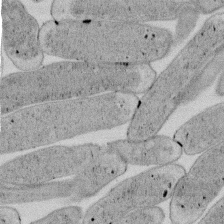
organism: E. coli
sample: Bacterial nucleoid